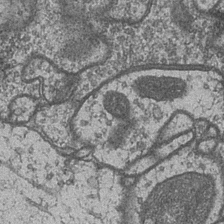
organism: Drosophila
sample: Optic medulla